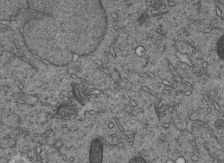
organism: C. elegans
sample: C. elegans embryo early stage